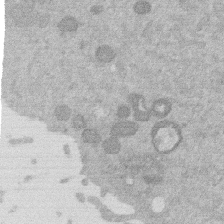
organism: Mouse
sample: Dividing mouse embryo 1 cell stage